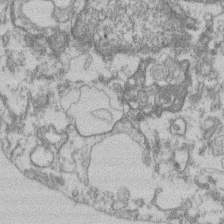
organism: Mouse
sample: T cell stromal cell synapse